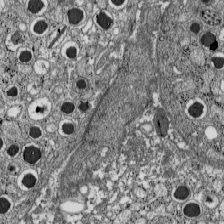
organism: C57BL Mouse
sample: Pancreatic islet